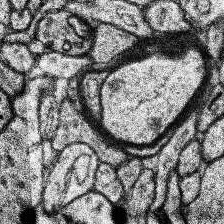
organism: Human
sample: Temporal Lobe